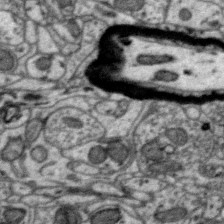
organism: Zebra finch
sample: Brain